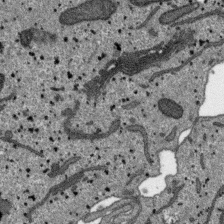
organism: Human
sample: Lung epithelial cells, uninfected (mock) control